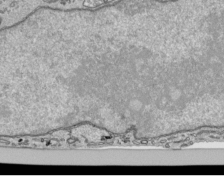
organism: Human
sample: Mitochondria in HCT116 cells